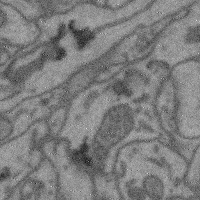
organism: Mouse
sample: Cerebral cortex